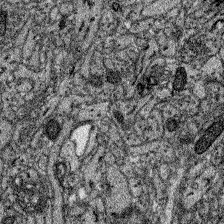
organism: Zebrafish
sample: Larval olfactory bulb